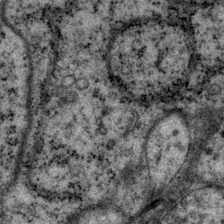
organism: P. pacificus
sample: Pharynx